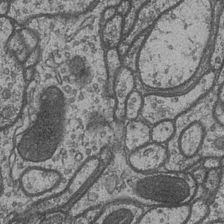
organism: Drosophila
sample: Optic medulla